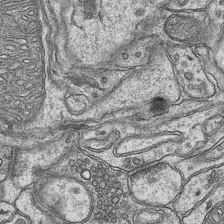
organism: Mouse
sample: CA1 Hippocampus